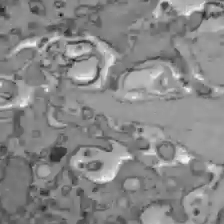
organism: C57BL Mouse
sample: Liver